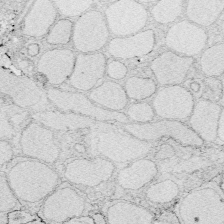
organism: Zebrafish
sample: Whole-Brain